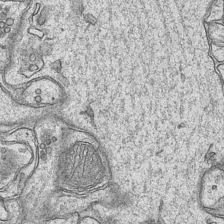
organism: Mouse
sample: CA1 Hippocampus